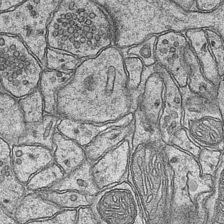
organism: Mouse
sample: CA1 Hippocampus